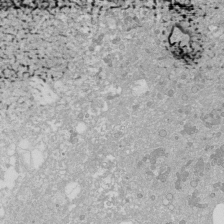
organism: Human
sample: Caco-2 cells